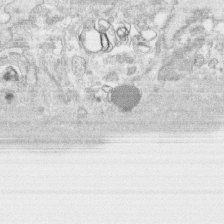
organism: Human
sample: CRL-1474